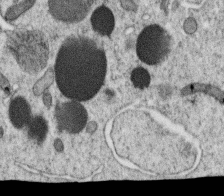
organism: C. elegans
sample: C. elegans oocyte; sperm cells